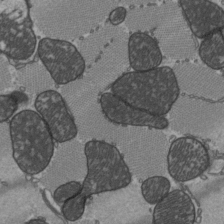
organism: C57BL Mouse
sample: Heart